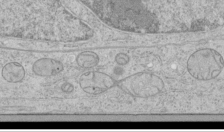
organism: Human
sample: Mitochondria in HCT116 cells